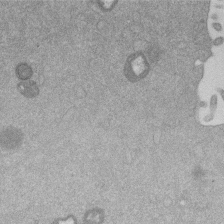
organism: Mouse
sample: Dividing mouse embryo 1 cell stage